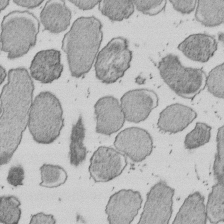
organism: E. coli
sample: Bacterial nucleoid